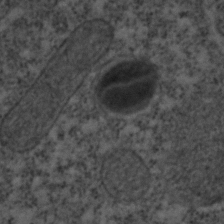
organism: C. elegans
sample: C. elegans embryo